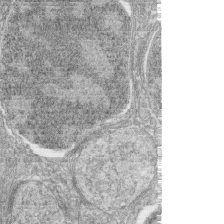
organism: Zebrafish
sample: synaptic ribbons in rod cells and cone cells